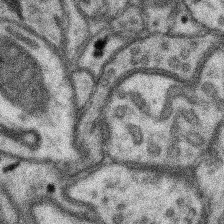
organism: Mouse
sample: Somatosensory cortex neuropil